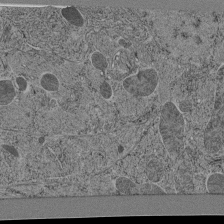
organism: C. elegans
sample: C. elegans pharynx